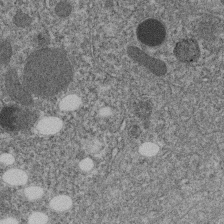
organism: C. elegans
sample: C. elegans embryo early stage